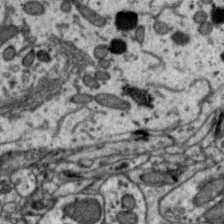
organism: Zebra finch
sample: Brain